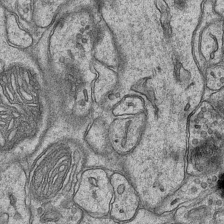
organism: Mouse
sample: CA1 Hippocampus